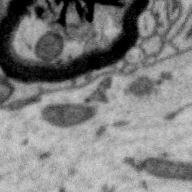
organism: Zebra finch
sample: Brain